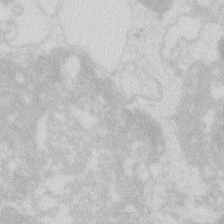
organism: Zebrafish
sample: Macrophage